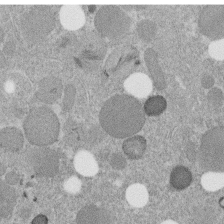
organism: C. elegans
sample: C. elegans embryo early stage